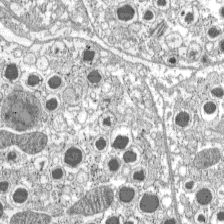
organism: C57BL Mouse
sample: Pancreatic islet